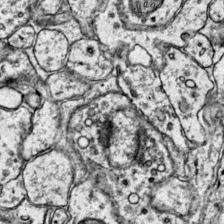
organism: Mouse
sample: Primary visual cortex